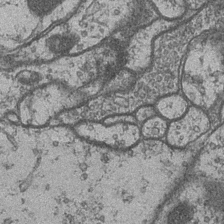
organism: Drosophila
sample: Optic medulla